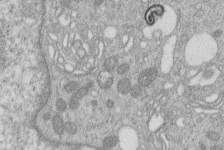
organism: Human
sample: Macrophage cells